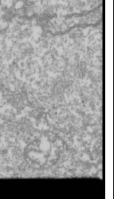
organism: Drosophila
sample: Cell division; meiosis; drosophila spermatocytes